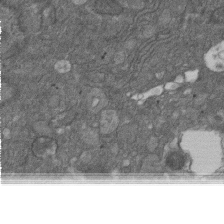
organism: Drosophila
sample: Nephrocyte